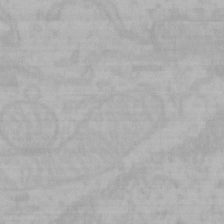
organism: Mouse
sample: Choroid plexus